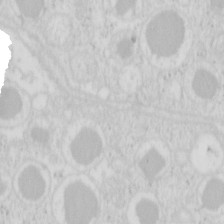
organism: Mouse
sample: Pancreas